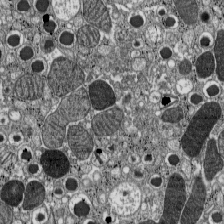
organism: C57BL Mouse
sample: Pancreatic islet